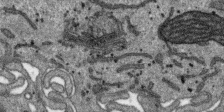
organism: Human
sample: Lung epithelial cells, uninfected (mock) control